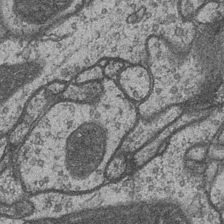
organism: Drosophila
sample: Optic medulla